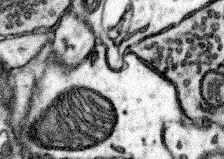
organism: Mouse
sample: Somatosensory cortex neuropil